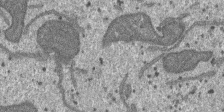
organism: Human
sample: Lung epithelial cells infected with SARS-CoV-2